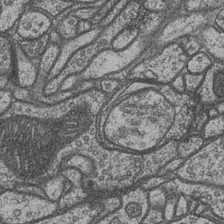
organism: Drosophila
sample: Optic medulla